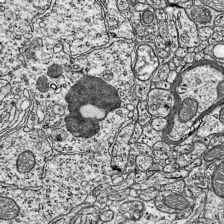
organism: Mouse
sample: Visual Cortex